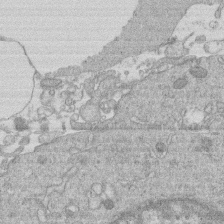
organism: Human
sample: Macrophage cells